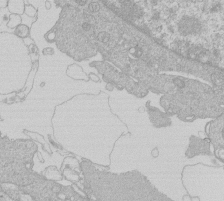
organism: Human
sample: Macrophage cells